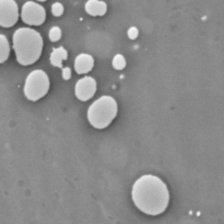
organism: C. elegans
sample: C. elegans embryo